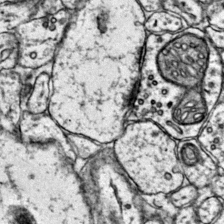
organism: Mouse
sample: Primary visual cortex